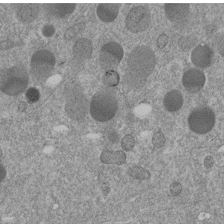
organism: C. elegans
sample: C. elegans embryo early stage